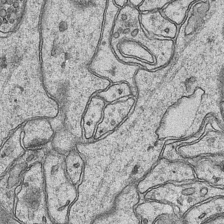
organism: Mouse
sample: CA1 Hippocampus